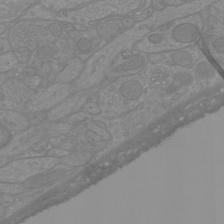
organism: Mouse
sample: Cortical neurons